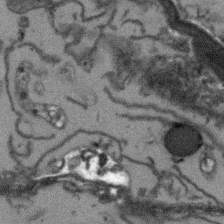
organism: Arabidopsis thaliana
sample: Root tip